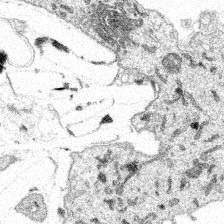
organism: Spongilla lacustris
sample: Multiple